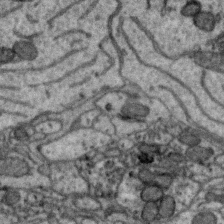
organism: Zebra finch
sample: Brain